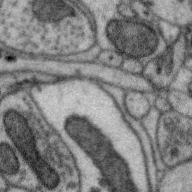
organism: Zebra finch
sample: Brain